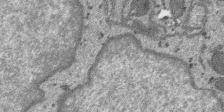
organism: Human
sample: Lung epithelial cells infected with SARS-CoV-2